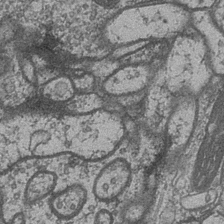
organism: Drosophila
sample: Optic medulla